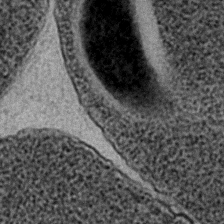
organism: C. elegans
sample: C. elegans embryo